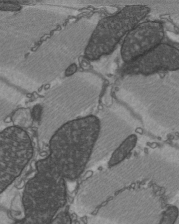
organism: C57BL Mouse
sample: Heart